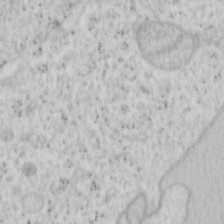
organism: Human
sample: HeLa cells